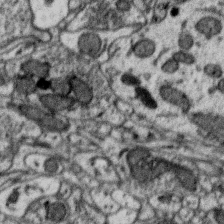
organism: Zebra finch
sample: Brain